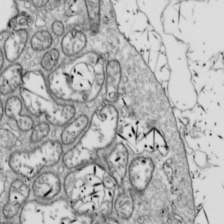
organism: Drosophila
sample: Cell division; meiosis; drosophila spermatocytes